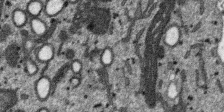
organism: Human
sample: Lung epithelial cells infected with SARS-CoV-2